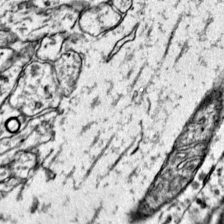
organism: Mouse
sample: Primary visual cortex